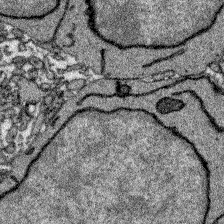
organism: Zebrafish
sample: Larval olfactory bulb